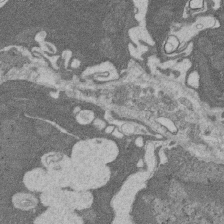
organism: Rat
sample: Salivary granule